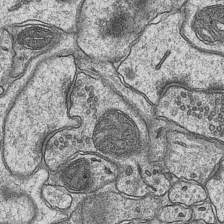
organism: Mouse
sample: CA1 Hippocampus